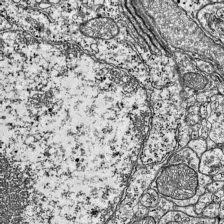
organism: Mouse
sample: Visual Cortex